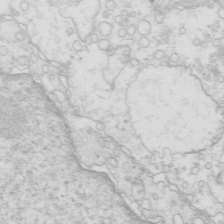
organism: Mouse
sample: Multiciliated cells